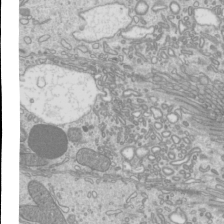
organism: Mouse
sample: Cilia; mouse epididymis